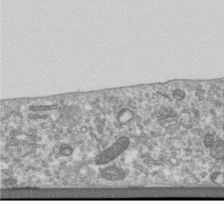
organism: Human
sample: Centriole in RPE cells